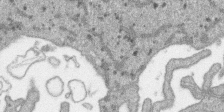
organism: Human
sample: Lung epithelial cells infected with SARS-CoV-2